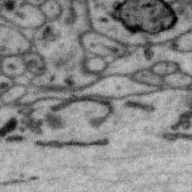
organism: Zebra finch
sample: Brain